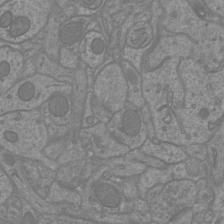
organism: Mouse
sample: Cortical neurons